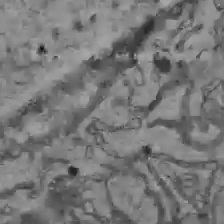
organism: C57BL Mouse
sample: Liver